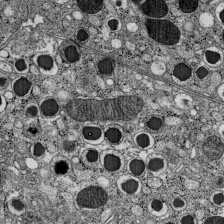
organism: C57BL Mouse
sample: Pancreatic islet